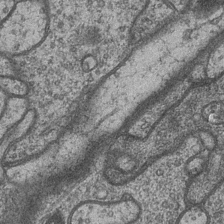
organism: Drosophila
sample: Optic medulla